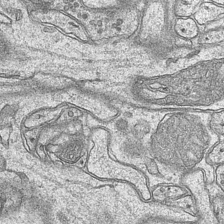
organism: Mouse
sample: CA1 Hippocampus